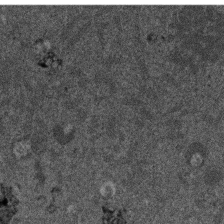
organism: Mouse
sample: Dividing mouse embryo 1 cell stage